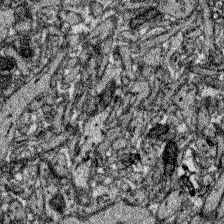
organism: Zebrafish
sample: Larval olfactory bulb